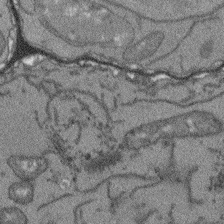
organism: Arabidopsis thaliana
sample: Root tip